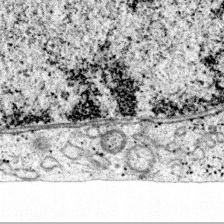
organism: Human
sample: HeLa cells